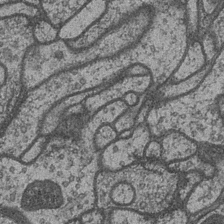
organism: Drosophila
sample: Optic medulla